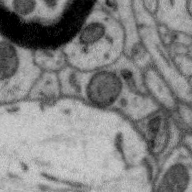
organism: Zebra finch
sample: Brain